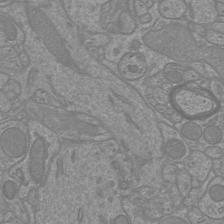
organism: Mouse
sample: Cortical neurons